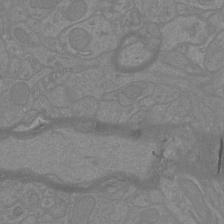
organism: Mouse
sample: Cortical neurons